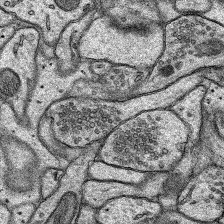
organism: Rat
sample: Hippocampus